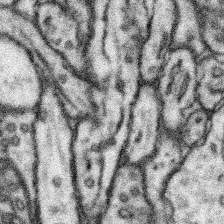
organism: Mouse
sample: Somatosensory cortex neuropil